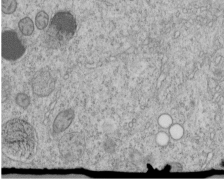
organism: C. elegans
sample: C. elegans embryo early stage